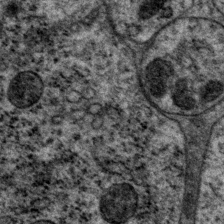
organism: P. pacificus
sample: Pharynx